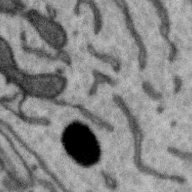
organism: Zebra finch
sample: Brain